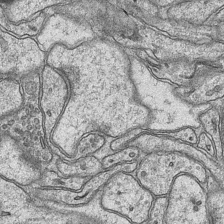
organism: Mouse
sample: CA1 Hippocampus